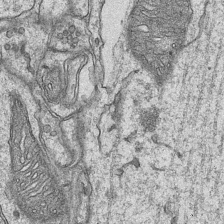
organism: Mouse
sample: CA1 Hippocampus